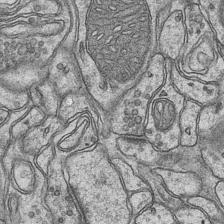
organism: Mouse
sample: CA1 Hippocampus